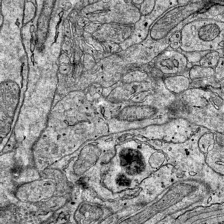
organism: Mouse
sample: Visual Cortex